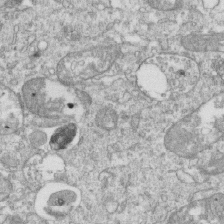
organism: Mouse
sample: Activated OT-1 CD8+ T cells